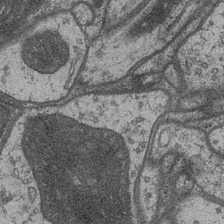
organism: Drosophila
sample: Optic medulla